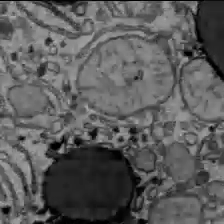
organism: C57BL Mouse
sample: Liver